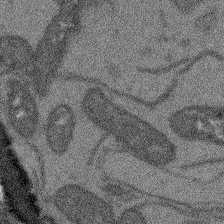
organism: Arabidopsis thaliana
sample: Root tip